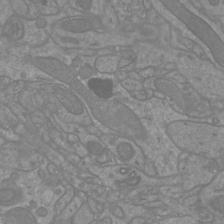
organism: Mouse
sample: Cortical neurons